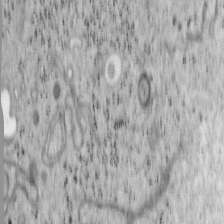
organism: Human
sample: HeLa cells